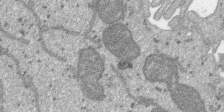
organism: Human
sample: Lung epithelial cells infected with SARS-CoV-2